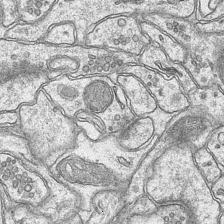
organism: Mouse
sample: CA1 Hippocampus